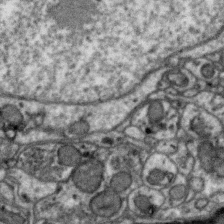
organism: Zebra finch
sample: Brain